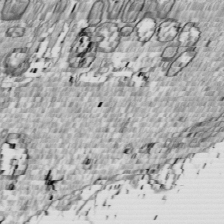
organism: Drosophila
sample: Cell division; meiosis; drosophila spermatocytes